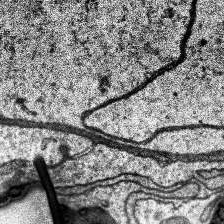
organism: Human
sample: Temporal Lobe